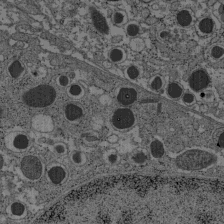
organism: C57BL Mouse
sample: Pancreatic islet